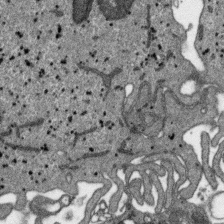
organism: Human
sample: Lung epithelial cells, uninfected (mock) control